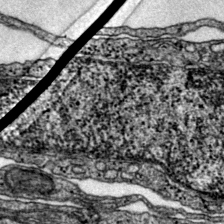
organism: Mouse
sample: Primary visual cortex